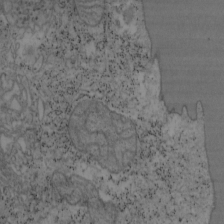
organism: Mouse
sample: OT-I killer T cells with ID8 ovarian cancer cells